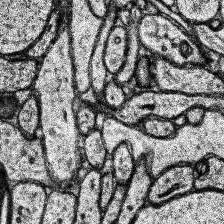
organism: Human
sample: Temporal Lobe